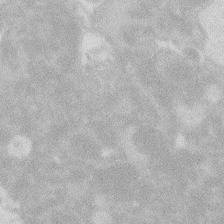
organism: Zebrafish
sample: Macrophage